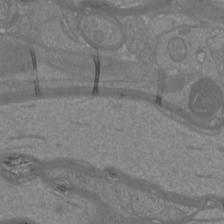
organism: Mouse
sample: Cortical neurons